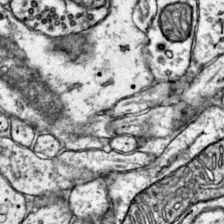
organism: Mouse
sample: Primary visual cortex